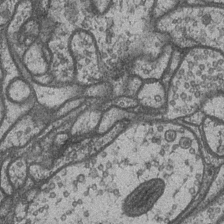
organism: Drosophila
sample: Optic medulla